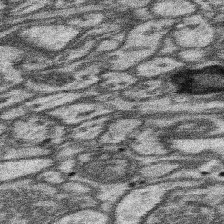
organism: Mouse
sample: Somatosensory cortex neuropil